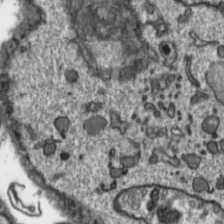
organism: Toxoplasma gondii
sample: Parasites in a vacuole inside a host cell